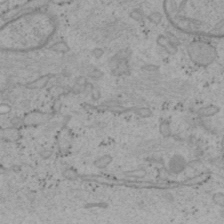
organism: Human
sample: HeLa cells